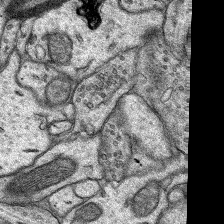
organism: Rat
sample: Hippocampus